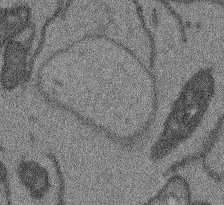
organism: Arabidopsis thaliana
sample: Root tip